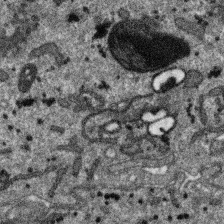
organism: Human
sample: Lung epithelial cells infected with SARS-CoV-2